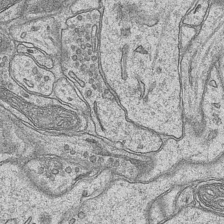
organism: Mouse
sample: CA1 Hippocampus